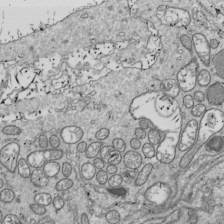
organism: Drosophila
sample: Cell division; meiosis; drosophila spermatocytes